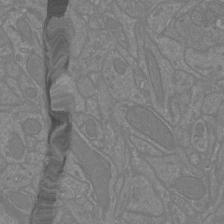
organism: Mouse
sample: Cortical neurons